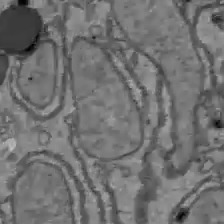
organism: C57BL Mouse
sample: Liver